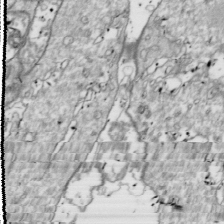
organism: Drosophila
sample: Cell division; meiosis; drosophila spermatocytes